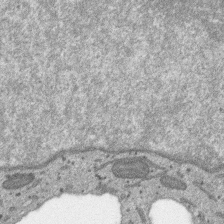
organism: Human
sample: Lung epithelial cells infected with SARS-CoV-2